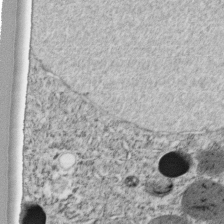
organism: C. elegans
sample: C. elegans embryo early stage